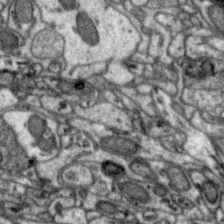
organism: Zebra finch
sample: Brain